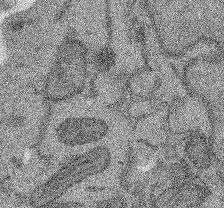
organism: Human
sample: HeLa cells